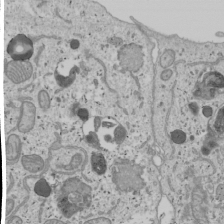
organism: Human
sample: Mitochondria in U2OS cells